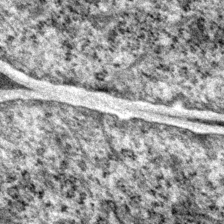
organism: P. pacificus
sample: Pharynx